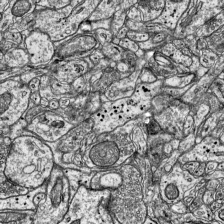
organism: Mouse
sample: Visual Cortex